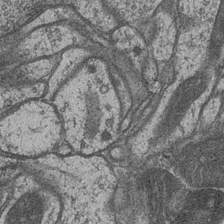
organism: Drosophila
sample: Optic medulla